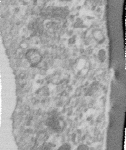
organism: Human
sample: Centriole in RPE cells